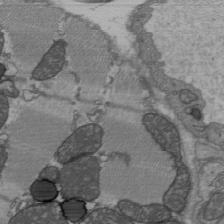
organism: C57BL Mouse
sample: Heart